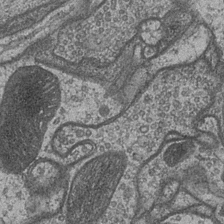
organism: Drosophila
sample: Optic medulla